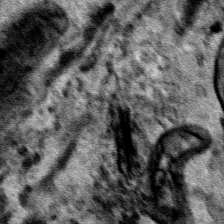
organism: Human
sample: Mitochondria in HCT116 cells